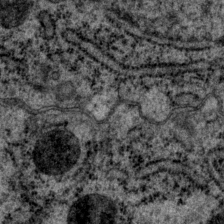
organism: P. pacificus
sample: Pharynx